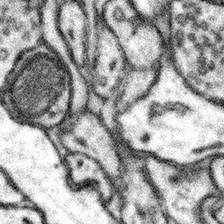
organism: Mouse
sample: Somatosensory cortex neuropil